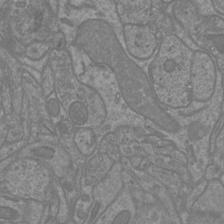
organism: Mouse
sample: Cortical neurons